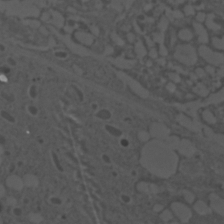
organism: C. elegans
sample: C. elegans embryo